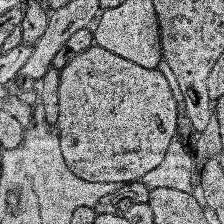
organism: Human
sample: Temporal Lobe